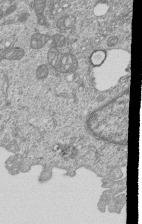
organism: Human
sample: MDA-MB-231 cells